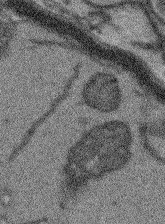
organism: Arabidopsis thaliana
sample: Root tip